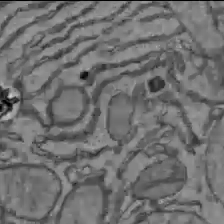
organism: C57BL Mouse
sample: Liver